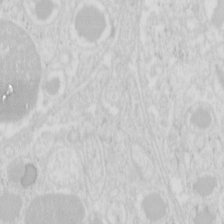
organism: Mouse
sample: Pancreas